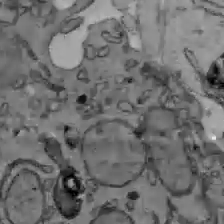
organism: C57BL Mouse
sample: Liver